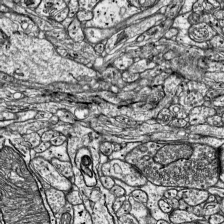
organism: Mouse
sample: Visual Cortex